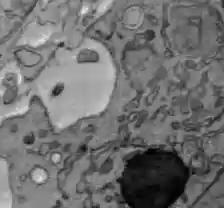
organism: C57BL Mouse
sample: Liver